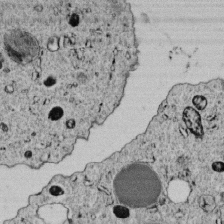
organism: C. elegans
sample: C. elegans embryo early stage